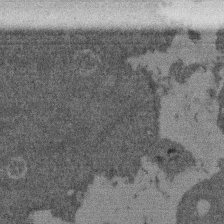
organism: Mouse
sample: Dividing mouse embryo 1 cell stage